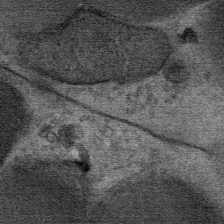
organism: Mouse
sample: Mouse Salivary gland